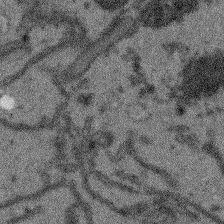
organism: Arabidopsis thaliana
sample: Root tip